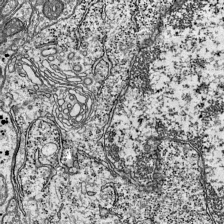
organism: Mouse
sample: Visual Cortex